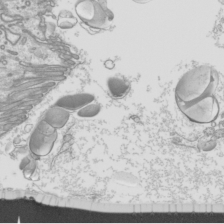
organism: Mouse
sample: Cilia; mouse epididymis